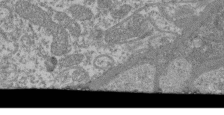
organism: Mouse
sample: Glomerulus